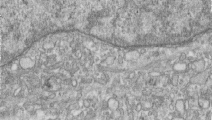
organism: Human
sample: Centriole in RPE cells